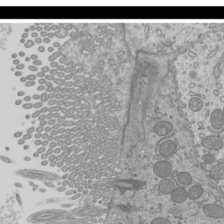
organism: Mouse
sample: Cilia; mouse epididymis